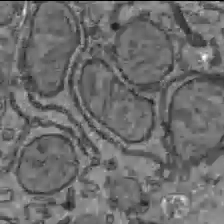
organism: C57BL Mouse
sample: Liver